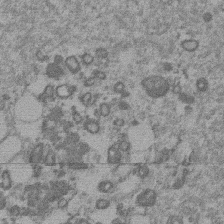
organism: Mouse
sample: Dividing mouse embryo 1 cell stage